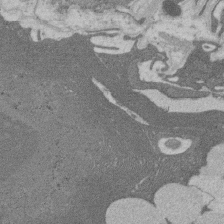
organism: Rat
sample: Salivary granule